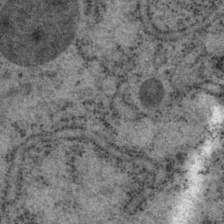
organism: P. pacificus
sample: Pharynx